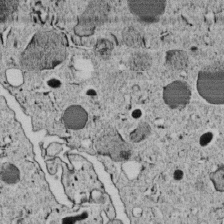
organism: C. elegans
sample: C. elegans embryo early stage